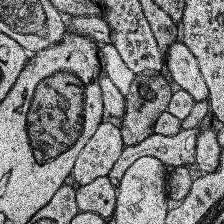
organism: Human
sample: Temporal Lobe